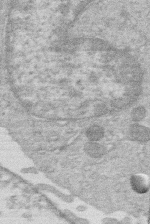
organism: Human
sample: Macrophage cells